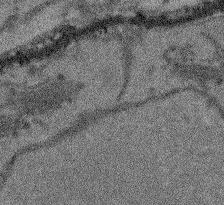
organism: Arabidopsis thaliana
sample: Root tip